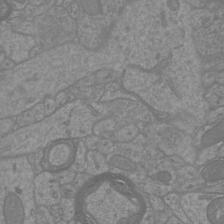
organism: Mouse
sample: Cortical neurons